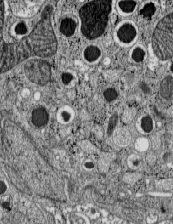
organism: C57BL Mouse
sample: Pancreatic islet